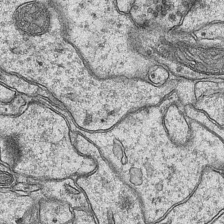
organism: Mouse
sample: CA1 Hippocampus